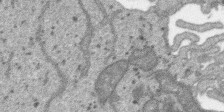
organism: Human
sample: Lung epithelial cells infected with SARS-CoV-2